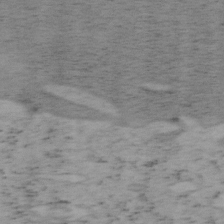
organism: Mouse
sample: OT-I killer T cells with ID8 ovarian cancer cells